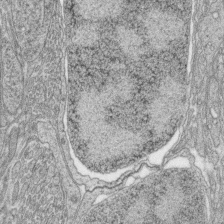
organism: Zebrafish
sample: synaptic ribbons in rod cells and cone cells